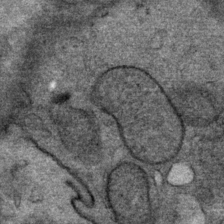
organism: Mouse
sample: Mouse Salivary gland